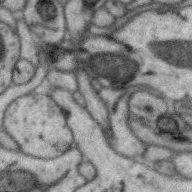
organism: Zebra finch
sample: Brain